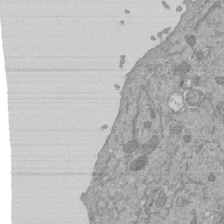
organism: Mouse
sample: ED-1 cell nuclei; centrioles